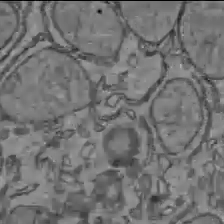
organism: C57BL Mouse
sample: Liver